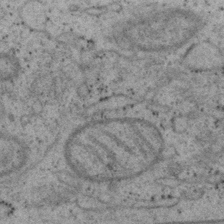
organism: Human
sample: HeLa cells